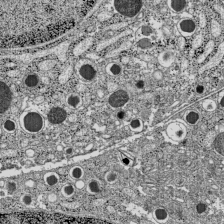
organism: C57BL Mouse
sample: Pancreatic islet